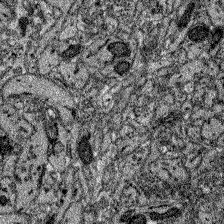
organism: Zebrafish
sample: Larval olfactory bulb